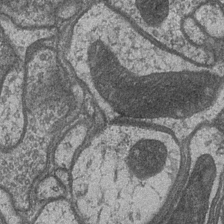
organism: Drosophila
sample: Optic medulla